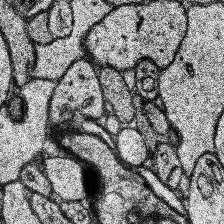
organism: Human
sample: Temporal Lobe